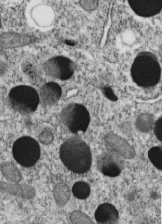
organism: C. elegans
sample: C. elegans embryo early stage